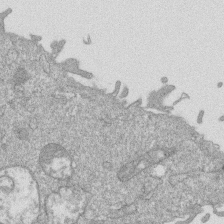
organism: Human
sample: HeLa cell HIV synapse